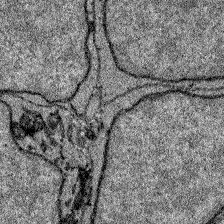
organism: Zebrafish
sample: Larval olfactory bulb